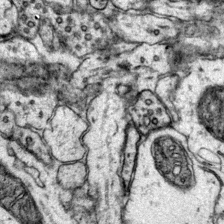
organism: Mouse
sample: Primary visual cortex